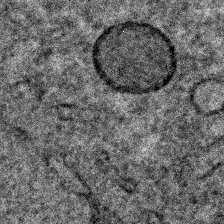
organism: C. elegans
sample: C. elegans embryo